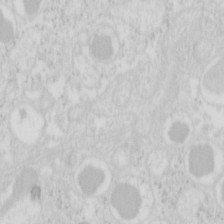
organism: Mouse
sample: Pancreas